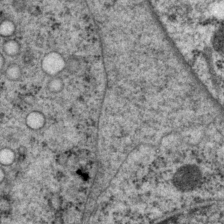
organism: P. pacificus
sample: Pharynx